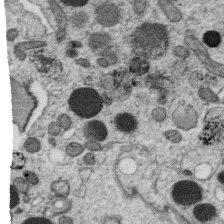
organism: C. elegans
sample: C. elegans oocyte; sperm cells